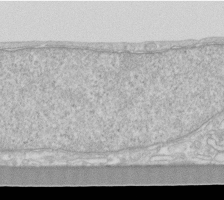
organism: Human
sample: Fibroblast cells